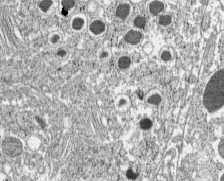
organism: C57BL Mouse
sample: Pancreatic islet